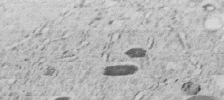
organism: C. elegans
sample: C. elegans embryo early stage